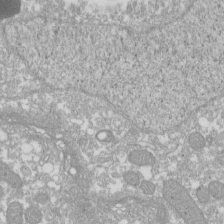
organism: Xenopus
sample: Cilia; centrioles in frog embryo cells